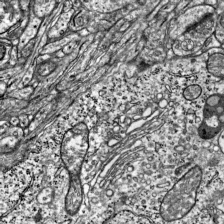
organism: Mouse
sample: Visual Cortex